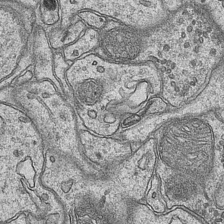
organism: Mouse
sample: CA1 Hippocampus